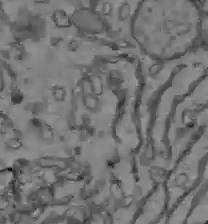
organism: C57BL Mouse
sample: Liver